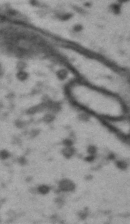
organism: Drosophila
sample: Brain